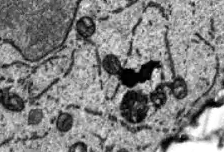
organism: Human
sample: HeLa cells